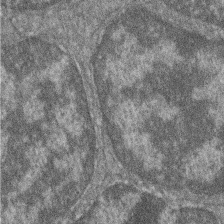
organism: Zebrafish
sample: Cilia; retinal pigment epithelium